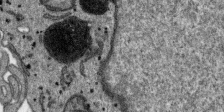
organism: Human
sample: Lung epithelial cells, uninfected (mock) control